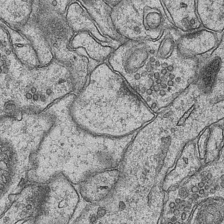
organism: Mouse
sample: CA1 Hippocampus